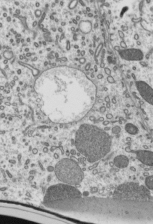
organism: Mouse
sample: Mouse epididymis efferent ductule cilia